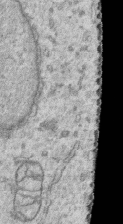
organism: Human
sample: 1205lu cells